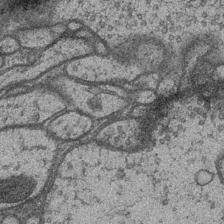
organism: Drosophila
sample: Optic medulla